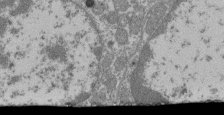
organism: Mouse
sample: Glomerulus